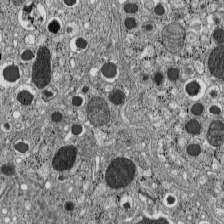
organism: C57BL Mouse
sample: Pancreatic islet